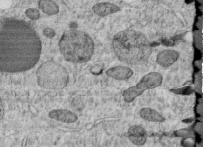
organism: C. elegans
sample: C. elegans embryo early stage